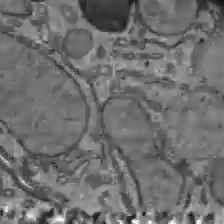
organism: C57BL Mouse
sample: Liver